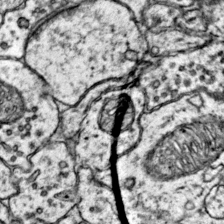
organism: Mouse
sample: Primary visual cortex